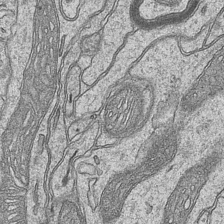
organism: Mouse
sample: CA1 Hippocampus